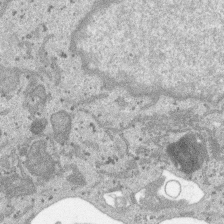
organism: Human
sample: Lung epithelial cells infected with SARS-CoV-2